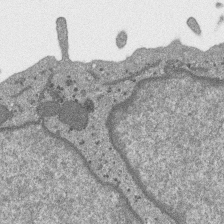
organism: Human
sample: Lung epithelial cells infected with SARS-CoV-2